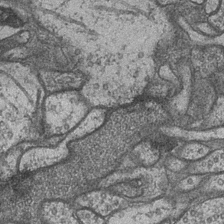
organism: Drosophila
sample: Optic medulla